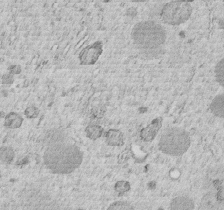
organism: C. elegans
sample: C. elegans embryo early stage